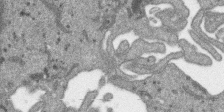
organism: Human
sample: Lung epithelial cells infected with SARS-CoV-2